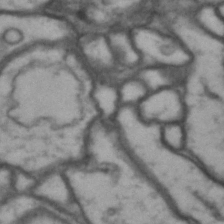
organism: Drosophila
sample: Brain